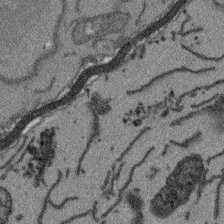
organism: Arabidopsis thaliana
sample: Root tip